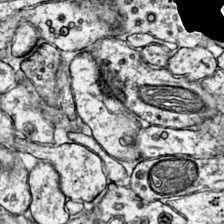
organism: Mouse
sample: Primary visual cortex